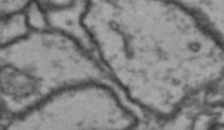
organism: Drosophila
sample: Brain